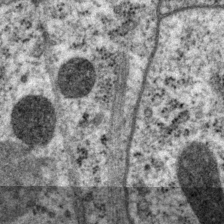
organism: P. pacificus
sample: Pharynx